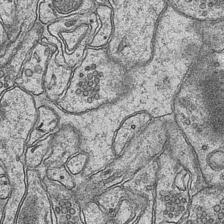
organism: Mouse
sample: CA1 Hippocampus